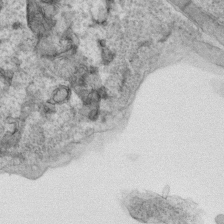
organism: Human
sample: Mitochondria in HCT116 cells